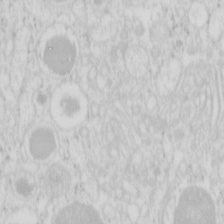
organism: Mouse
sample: Pancreas